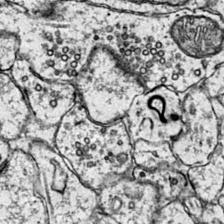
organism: Mouse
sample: Primary visual cortex